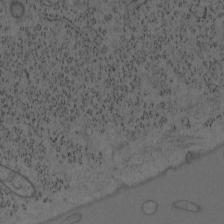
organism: Mouse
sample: OT-I killer T cells with ID8 ovarian cancer cells